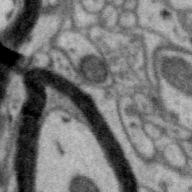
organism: Zebra finch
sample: Brain